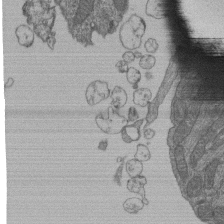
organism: Human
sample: Retinal organoid Rod and Cone cells